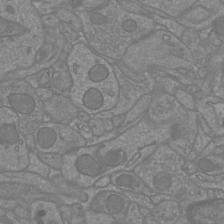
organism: Mouse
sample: Cortical neurons